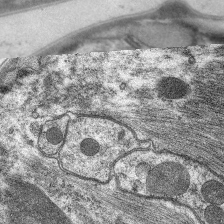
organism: C. elegans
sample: Pharynx